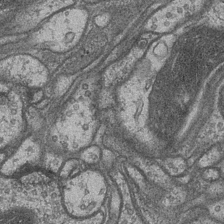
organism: Drosophila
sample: Optic medulla